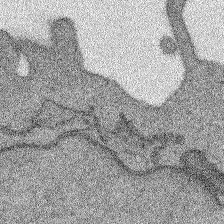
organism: Human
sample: HeLa cells